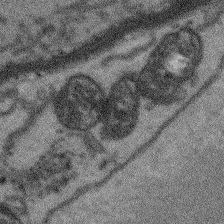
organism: Arabidopsis thaliana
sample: Root tip